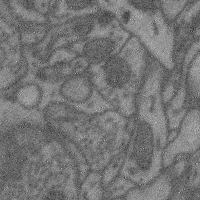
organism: Mouse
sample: Cerebral cortex